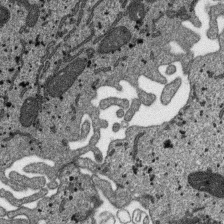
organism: Human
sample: Lung epithelial cells infected with SARS-CoV-2